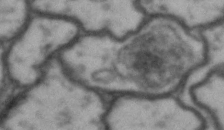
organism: Drosophila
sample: Brain